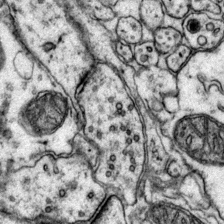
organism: Mouse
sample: Primary visual cortex